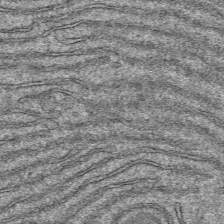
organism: Mouse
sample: Mouse hepatocytes